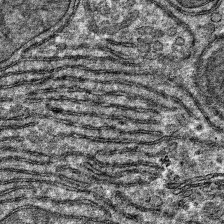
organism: Mouse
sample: Mouse hepatocytes